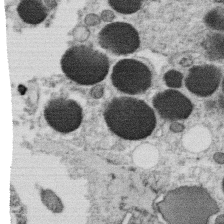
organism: C. elegans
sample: C. elegans oocyte; sperm cells